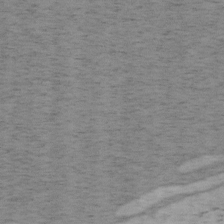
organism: Mouse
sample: OT-I killer T cells with ID8 ovarian cancer cells